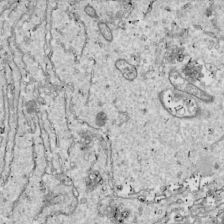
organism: Drosophila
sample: Cell division; meiosis; drosophila spermatocytes